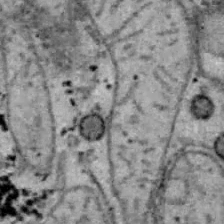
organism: Mouse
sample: Liver from an obese (ob/ob) mouse